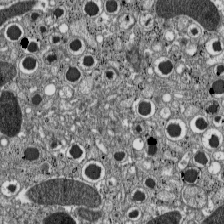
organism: C57BL Mouse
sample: Pancreatic islet